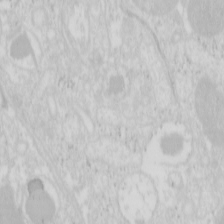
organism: Mouse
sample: Pancreas